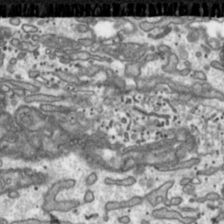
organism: Toxoplasma gondii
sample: Parasites in a vacuole inside a host cell